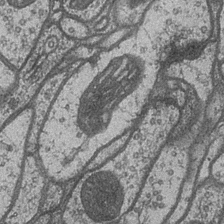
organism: Drosophila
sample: Optic medulla